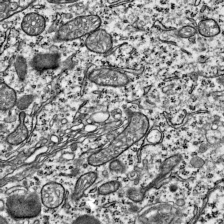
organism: Mouse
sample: Visual Cortex